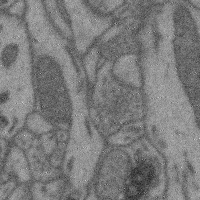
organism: Mouse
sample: Cerebral cortex